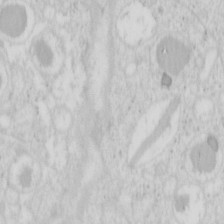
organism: Mouse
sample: Pancreas